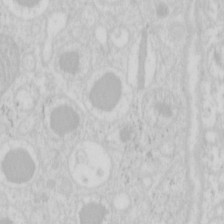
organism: Mouse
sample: Pancreas